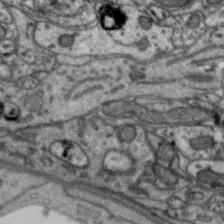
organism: Zebra finch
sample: Brain